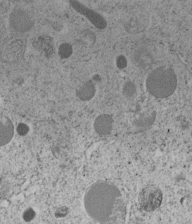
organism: C. elegans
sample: C. elegans embryo early stage